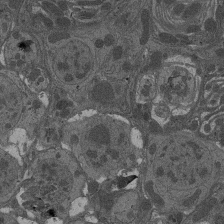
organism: Drosophila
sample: Antenna